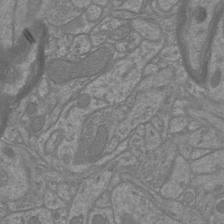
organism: Mouse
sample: Cortical neurons